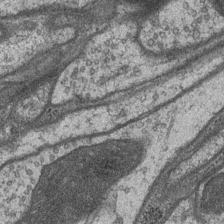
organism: Drosophila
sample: Optic medulla